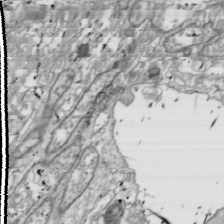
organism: Drosophila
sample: Cell division; meiosis; drosophila spermatocytes